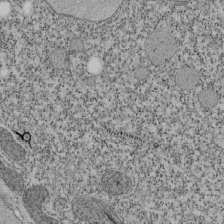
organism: Tetrahymena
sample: Cilia in tetrahymena